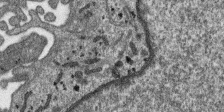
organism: Human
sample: Lung epithelial cells infected with SARS-CoV-2